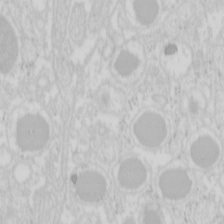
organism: Mouse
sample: Pancreas